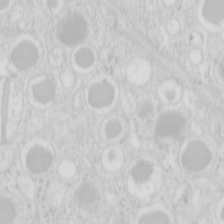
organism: Mouse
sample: Pancreas